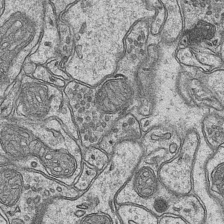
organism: Mouse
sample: CA1 Hippocampus